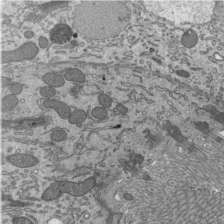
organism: Mouse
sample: Mouse epididymis efferent ductule cilia